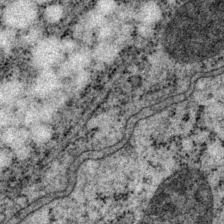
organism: P. pacificus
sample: Pharynx